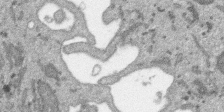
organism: Human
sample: Lung epithelial cells infected with SARS-CoV-2